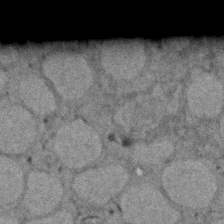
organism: Zebrafish